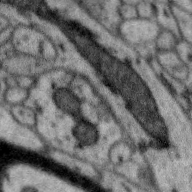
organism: Zebra finch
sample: Brain